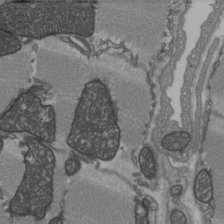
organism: C57BL Mouse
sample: Heart